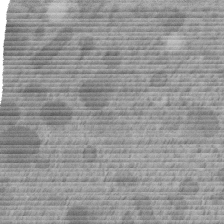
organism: C. elegans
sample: C. elegans embryo early stage